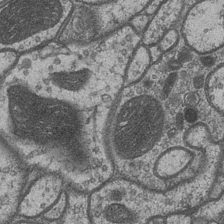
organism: Drosophila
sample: Optic medulla